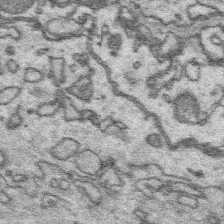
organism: Platynereis dumerilii